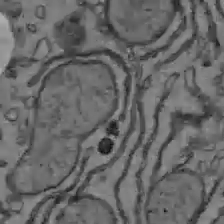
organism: C57BL Mouse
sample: Liver